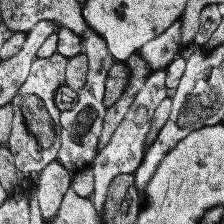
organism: Human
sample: Temporal Lobe